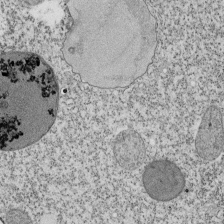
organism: Tetrahymena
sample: Cilia in tetrahymena